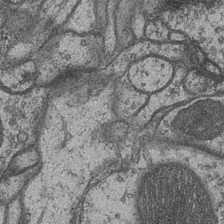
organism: Drosophila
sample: Optic medulla